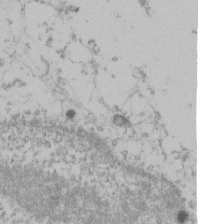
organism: Human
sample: U2-OS cells